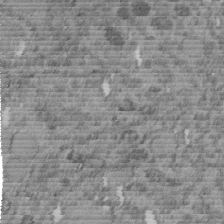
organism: C. elegans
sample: C. elegans embryo early stage